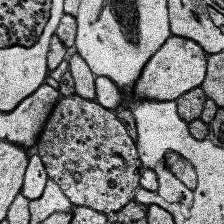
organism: Human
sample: Temporal Lobe